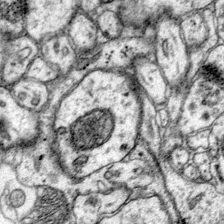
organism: Mouse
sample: Primary visual cortex